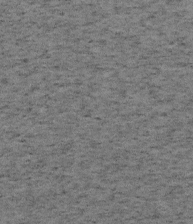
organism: Mouse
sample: OT-I killer T cells with ID8 ovarian cancer cells